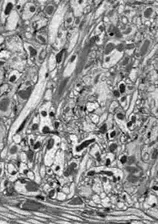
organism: Drosophila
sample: Optic lobe